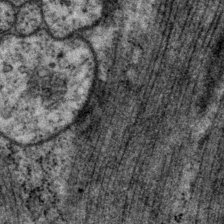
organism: P. pacificus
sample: Pharynx